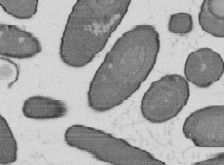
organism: B. subtilis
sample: Bacterial spore